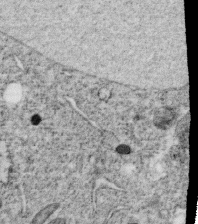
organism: C. elegans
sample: C. elegans oocyte; sperm cells